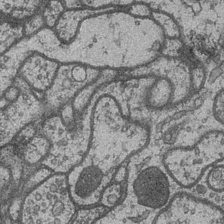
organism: Drosophila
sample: Optic medulla